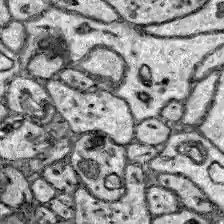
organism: Zebrafish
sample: Brain